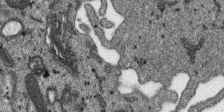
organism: Human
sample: Lung epithelial cells infected with SARS-CoV-2